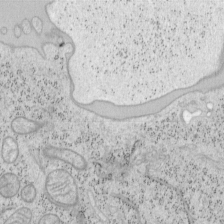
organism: Mouse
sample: OT-I killer T cells with ID8 ovarian cancer cells